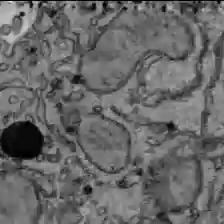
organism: C57BL Mouse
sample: Liver